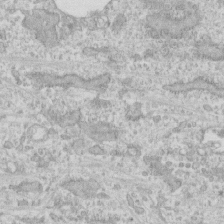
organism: Human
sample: CRL-1474